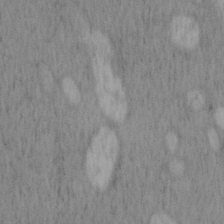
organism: Mouse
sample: OT-I killer T cells with ID8 ovarian cancer cells